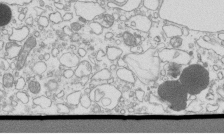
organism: Mouse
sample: Macrophages